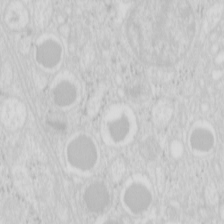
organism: Mouse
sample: Pancreas